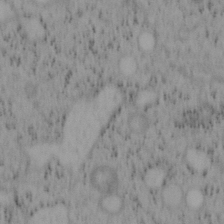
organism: Mouse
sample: OT-I killer T cells with ID8 ovarian cancer cells